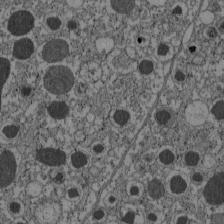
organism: C57BL Mouse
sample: Pancreatic islet